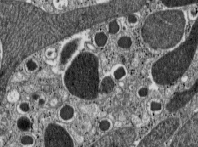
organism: C57BL Mouse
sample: Pancreatic islet